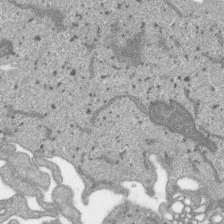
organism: Human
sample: Lung epithelial cells infected with SARS-CoV-2